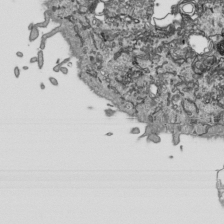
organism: Human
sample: Mitochondria in HCT116 cells